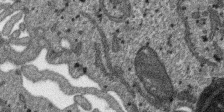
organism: Human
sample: Lung epithelial cells infected with SARS-CoV-2